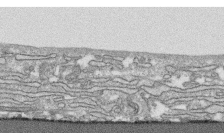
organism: Human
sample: CRL-1474